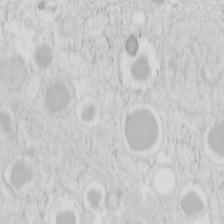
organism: Mouse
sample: Pancreas